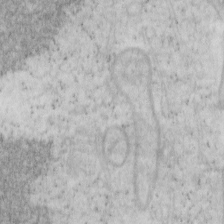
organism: Human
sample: HeLa cells